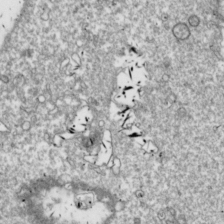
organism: Drosophila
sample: Cell division; meiosis; drosophila spermatocytes